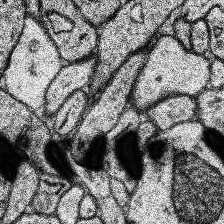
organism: Human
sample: Temporal Lobe